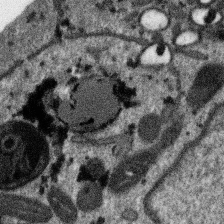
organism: Human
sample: Lung epithelial cells infected with SARS-CoV-2